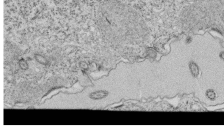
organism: Tetrahymena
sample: Cilia in tetrahymena